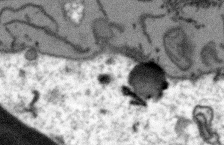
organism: Arabidopsis thaliana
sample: Root tip